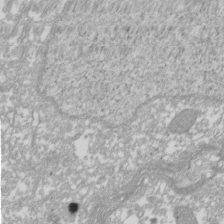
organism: Xenopus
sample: Cilia; centrioles in frog embryo cells